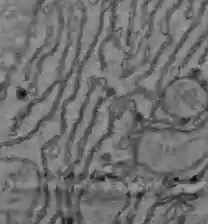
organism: C57BL Mouse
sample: Liver